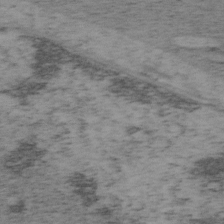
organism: Mouse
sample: OT-I killer T cells with ID8 ovarian cancer cells